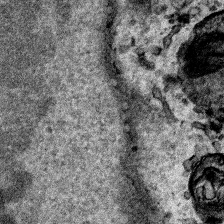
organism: Human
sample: Mitochondria in HCT116 cells